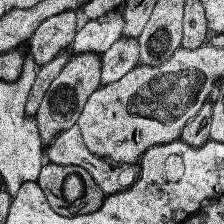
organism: Human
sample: Temporal Lobe